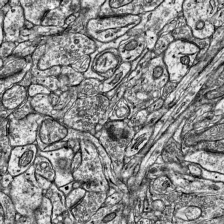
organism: Mouse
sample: Visual Cortex